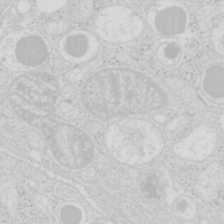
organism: Mouse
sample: Pancreas